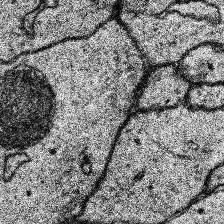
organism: Human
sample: Temporal Lobe